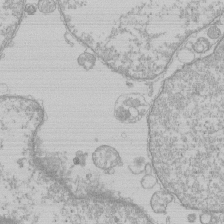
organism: Human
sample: Macrophage cells